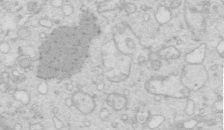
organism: Mouse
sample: Multiciliated cells